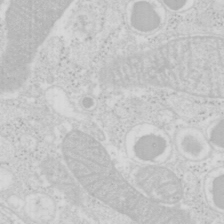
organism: Mouse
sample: Pancreas